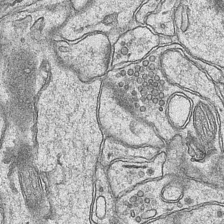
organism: Mouse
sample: CA1 Hippocampus